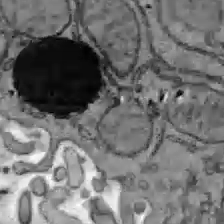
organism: C57BL Mouse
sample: Liver